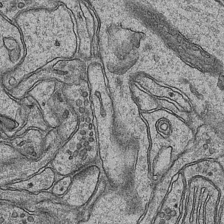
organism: Mouse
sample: CA1 Hippocampus